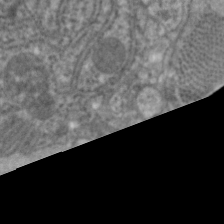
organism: C. elegans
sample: Pharynx